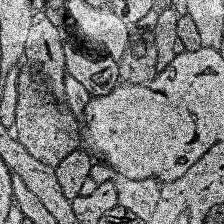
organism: Human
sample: Temporal Lobe